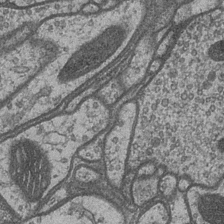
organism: Drosophila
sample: Optic medulla